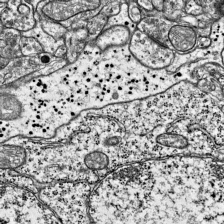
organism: Mouse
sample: Visual Cortex